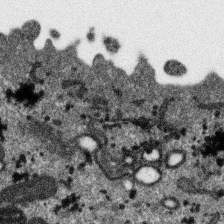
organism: Human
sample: Lung epithelial cells infected with SARS-CoV-2